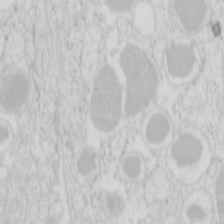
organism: Mouse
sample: Pancreas